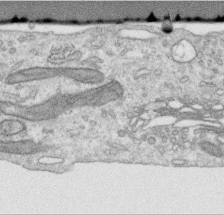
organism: Human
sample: Centriole in RPE cells